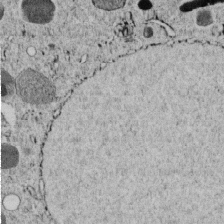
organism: C. elegans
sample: C. elegans embryo early stage